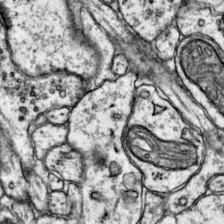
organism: Mouse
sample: Primary visual cortex